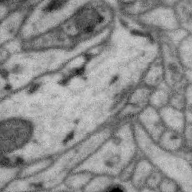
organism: Zebra finch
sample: Brain